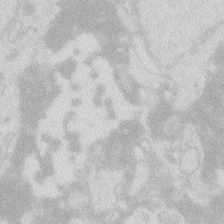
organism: Zebrafish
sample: Macrophage